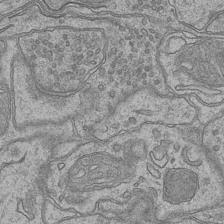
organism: Mouse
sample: CA1 Hippocampus